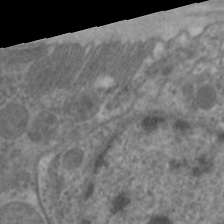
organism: C. elegans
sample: Pharynx